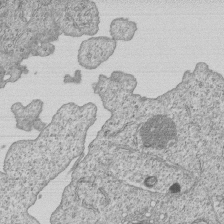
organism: Human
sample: MDA-MB-231 cells